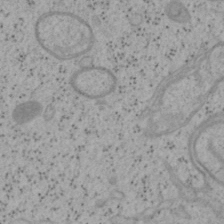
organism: Human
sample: HeLa cells